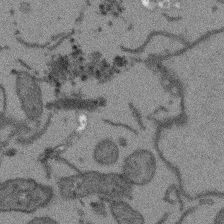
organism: Arabidopsis thaliana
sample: Root tip